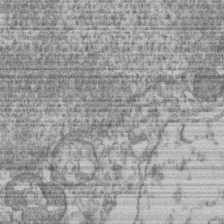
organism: Mouse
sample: T cell stromal cell synapse